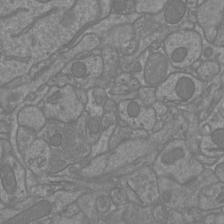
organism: Mouse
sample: Cortical neurons